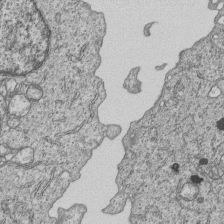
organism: Human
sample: MDA-MB-231 cells